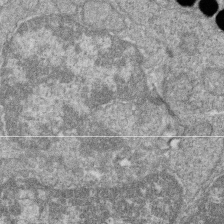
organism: Zebrafish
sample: Cilia; retinal pigment epithelium